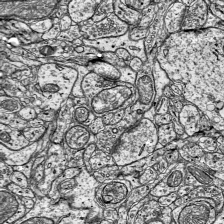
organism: Mouse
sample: Visual Cortex